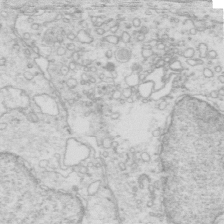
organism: Mouse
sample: Multiciliated cells